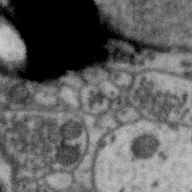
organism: Zebra finch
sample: Brain